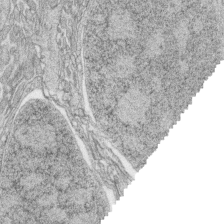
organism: Zebrafish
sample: synaptic ribbons in rod cells and cone cells